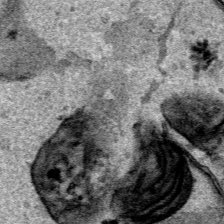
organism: Human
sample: Mitochondria in HCT116 cells